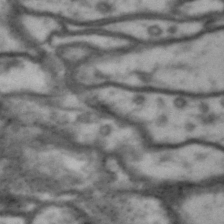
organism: Drosophila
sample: Brain